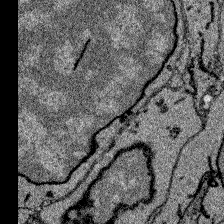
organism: Zebrafish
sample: Larval olfactory bulb